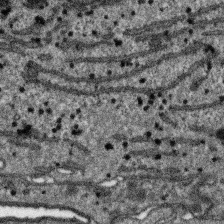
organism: Human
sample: Lung epithelial cells infected with SARS-CoV-2